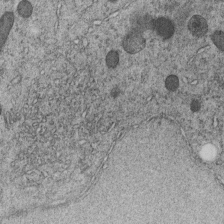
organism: C. elegans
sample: C. elegans embryo early stage